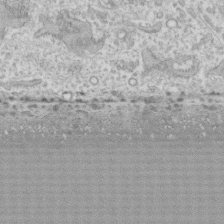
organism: Human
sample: CRL-1474